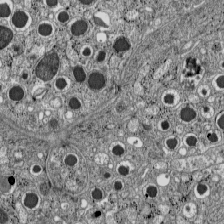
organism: C57BL Mouse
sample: Pancreatic islet